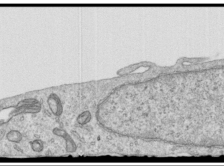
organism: Human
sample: Centriole in RPE cells